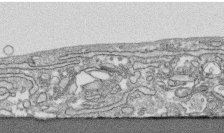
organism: Human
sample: CRL-1474